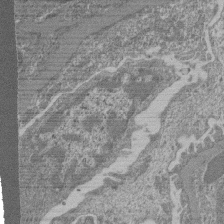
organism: Mouse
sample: Glomerulus